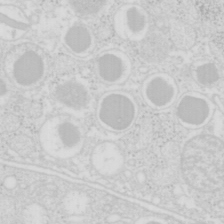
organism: Mouse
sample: Pancreas